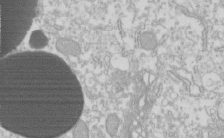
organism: Xenopus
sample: Cilia; centrioles in frog embryo cells